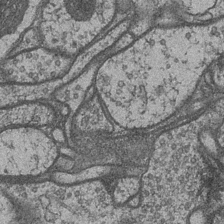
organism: Drosophila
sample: Optic medulla